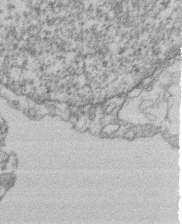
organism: Mouse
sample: T cell stromal cell synapse